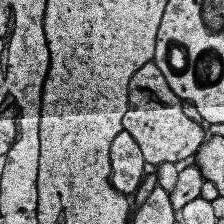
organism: Human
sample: Temporal Lobe